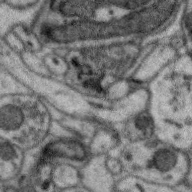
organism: Zebra finch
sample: Brain